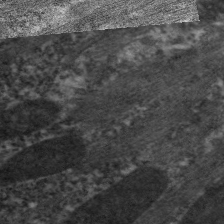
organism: C. elegans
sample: Pharynx